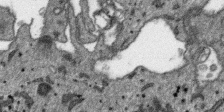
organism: Human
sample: Lung epithelial cells, uninfected (mock) control